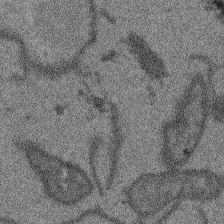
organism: Arabidopsis thaliana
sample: Root tip